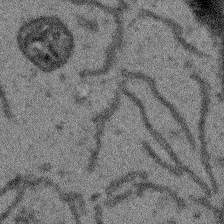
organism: Arabidopsis thaliana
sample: Root tip